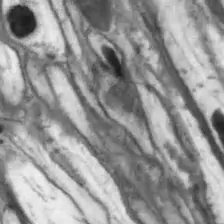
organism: Drosophila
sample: Optic lobe